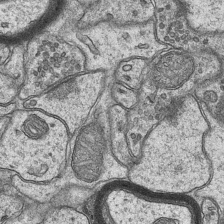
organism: Mouse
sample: CA1 Hippocampus